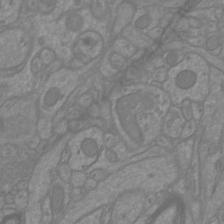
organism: Mouse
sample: Cortical neurons